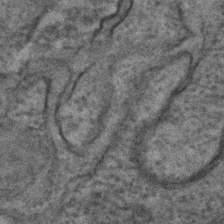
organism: C. elegans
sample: C. elegans embryo